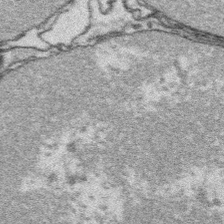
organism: Platynereis dumerilii